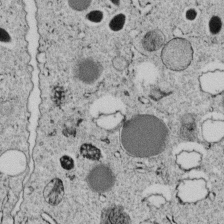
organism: C. elegans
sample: C. elegans embryo early stage